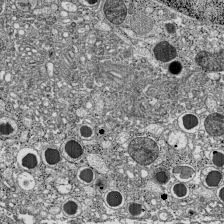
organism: C57BL Mouse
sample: Pancreatic islet